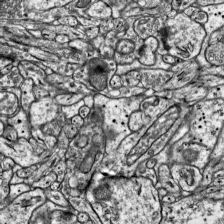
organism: Mouse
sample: Visual Cortex